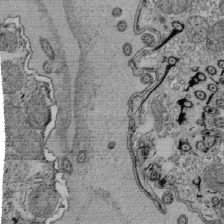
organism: Tetrahymena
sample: Cilia in tetrahymena